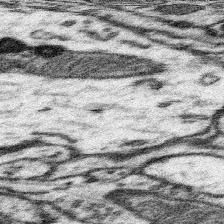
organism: Mouse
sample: Somatosensory cortex neuropil